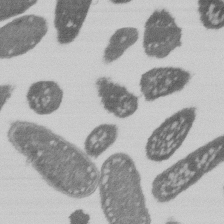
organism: E. coli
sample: Bacterial nucleoid